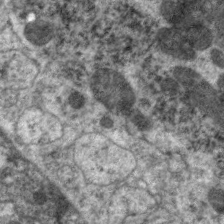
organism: C. elegans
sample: Pharynx